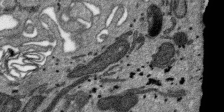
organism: Human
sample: Lung epithelial cells, uninfected (mock) control